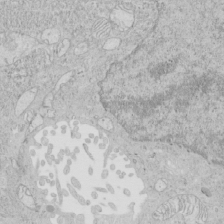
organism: Human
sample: Mitochondria in HCT116 cells